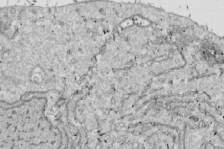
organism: Drosophila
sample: Cell division; meiosis; drosophila spermatocytes